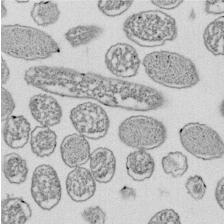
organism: E. coli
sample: Bacterial nucleoid